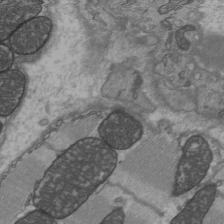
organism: C57BL Mouse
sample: Heart